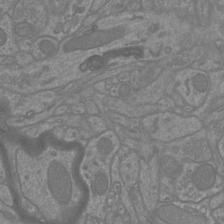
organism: Mouse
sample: Cortical neurons